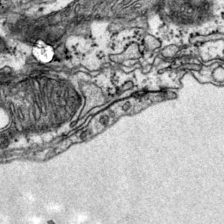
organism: Mouse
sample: Primary visual cortex